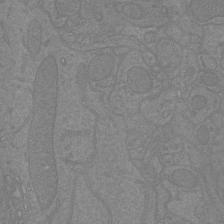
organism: Mouse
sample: Cortical neurons